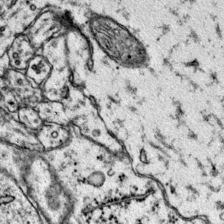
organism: Mouse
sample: Primary visual cortex